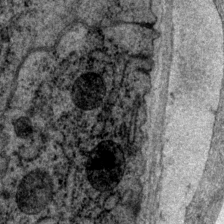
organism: P. pacificus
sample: Pharynx